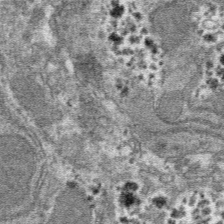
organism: Mouse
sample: Mouse hepatocytes